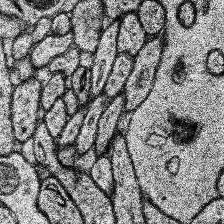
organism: Human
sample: Temporal Lobe